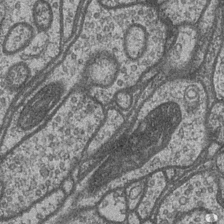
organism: Drosophila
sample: Optic medulla